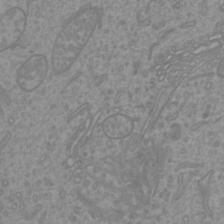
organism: Mouse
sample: Cortical neurons